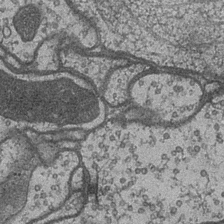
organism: Drosophila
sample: Optic medulla